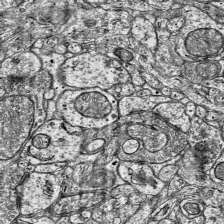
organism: Mouse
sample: Visual Cortex